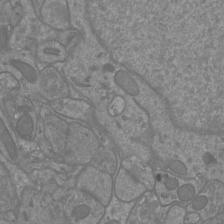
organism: Mouse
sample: Cortical neurons